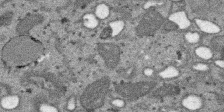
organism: Human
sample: Lung epithelial cells infected with SARS-CoV-2